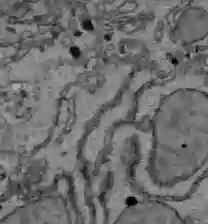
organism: C57BL Mouse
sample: Liver